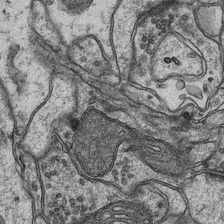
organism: Mouse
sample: CA1 Hippocampus